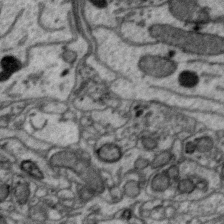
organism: Zebra finch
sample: Brain